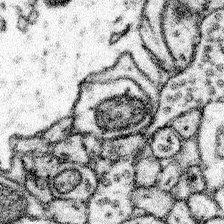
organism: Mouse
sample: Somatosensory cortex neuropil